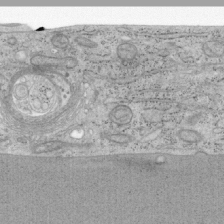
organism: Human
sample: HeLa cells